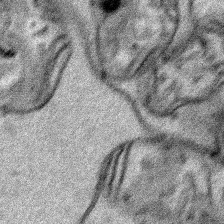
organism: Human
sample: Mitochondria in HCT116 cells